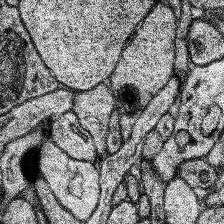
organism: Human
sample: Temporal Lobe